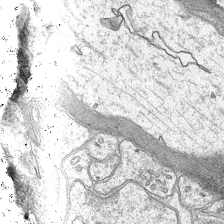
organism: Mouse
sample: CA1 Hippocampus